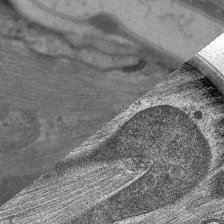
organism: C. elegans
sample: Pharynx